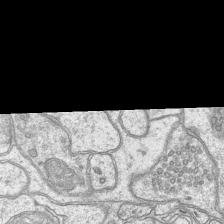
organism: Mouse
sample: CA1 Hippocampus